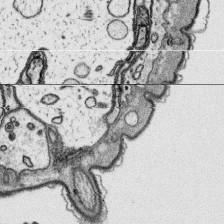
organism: Platynereis dumerilii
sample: Parapodia